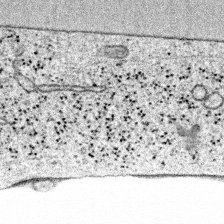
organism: Human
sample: HeLa cells